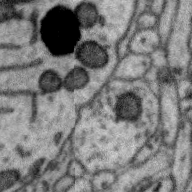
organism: Zebra finch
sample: Brain